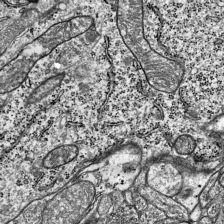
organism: Mouse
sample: Visual Cortex